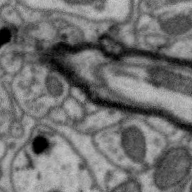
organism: Zebra finch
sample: Brain